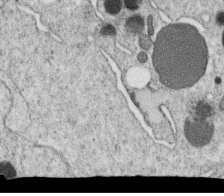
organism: C. elegans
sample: C. elegans oocyte; sperm cells